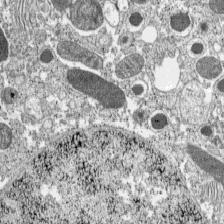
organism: C57BL Mouse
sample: Pancreatic islet